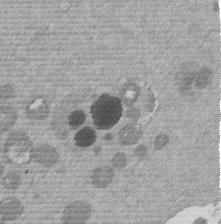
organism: Mouse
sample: Dividing mouse embryo 1 cell stage